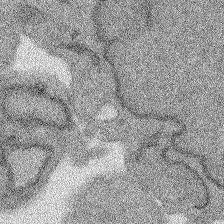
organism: Human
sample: HeLa cells